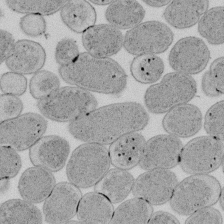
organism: E. coli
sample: Bacterial nucleoid